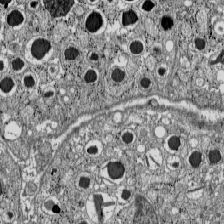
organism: C57BL Mouse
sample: Pancreatic islet